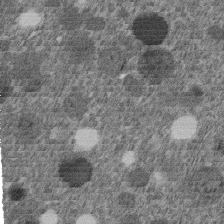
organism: C. elegans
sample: C. elegans embryo early stage